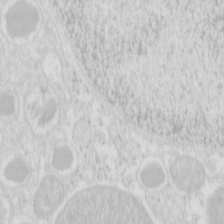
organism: Mouse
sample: Pancreas